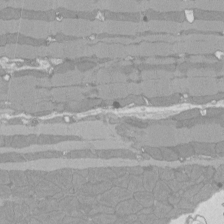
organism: Rat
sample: Left ventricle